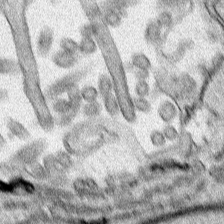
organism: Human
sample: Mitochondria in HCT116 cells